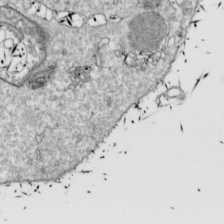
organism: Drosophila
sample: Cell division; meiosis; drosophila spermatocytes